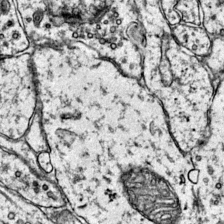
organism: Mouse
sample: Primary visual cortex